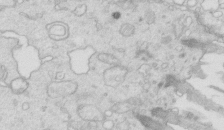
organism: Mouse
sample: Multiciliated cells